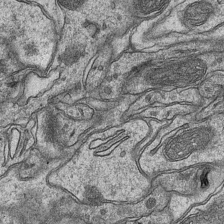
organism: Mouse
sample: CA1 Hippocampus